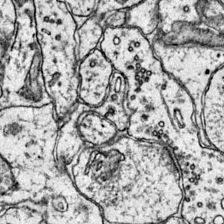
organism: Mouse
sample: Primary visual cortex